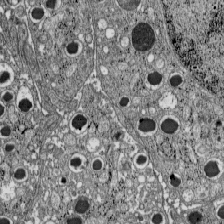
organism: C57BL Mouse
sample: Pancreatic islet